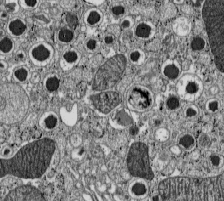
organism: C57BL Mouse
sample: Pancreatic islet